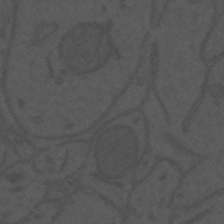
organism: Mouse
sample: Suprachiasmatic nucleus